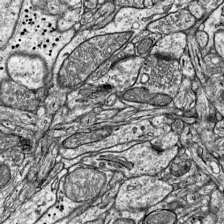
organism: Mouse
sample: Visual Cortex